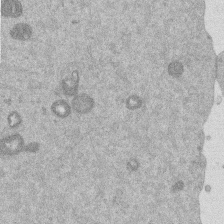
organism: Mouse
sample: Dividing mouse embryo 1 cell stage